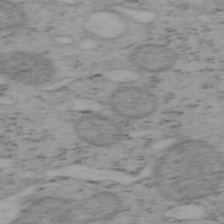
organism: Mouse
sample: OT-I killer T cells with ID8 ovarian cancer cells